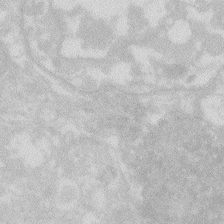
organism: Zebrafish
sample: Macrophage